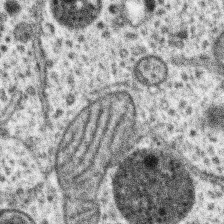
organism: Human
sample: HeLa cells